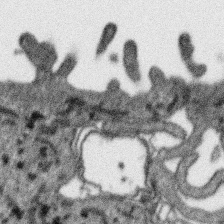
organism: Human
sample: Lung epithelial cells infected with SARS-CoV-2